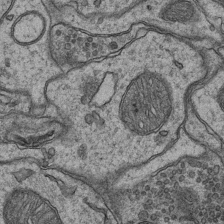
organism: Mouse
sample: CA1 Hippocampus